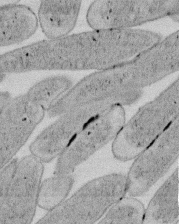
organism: E. coli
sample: Bacterial nucleoid